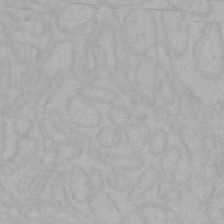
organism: Mouse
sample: Choroid plexus